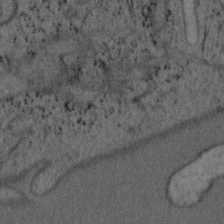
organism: Human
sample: HeLa cells